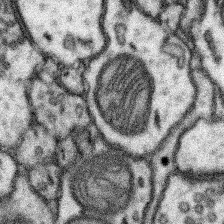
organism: Mouse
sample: Somatosensory cortex neuropil